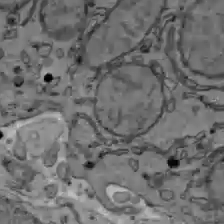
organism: C57BL Mouse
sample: Liver